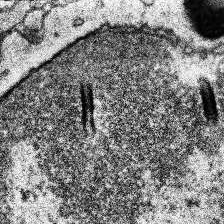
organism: Human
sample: Temporal Lobe